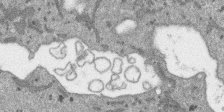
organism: Human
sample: Lung epithelial cells infected with SARS-CoV-2